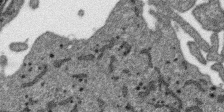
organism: Human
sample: Lung epithelial cells infected with SARS-CoV-2